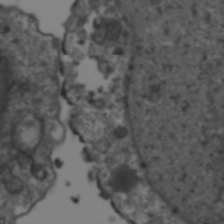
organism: Human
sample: HIV-1 Gag-iGFP